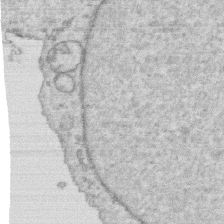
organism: Human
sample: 1205lu cells